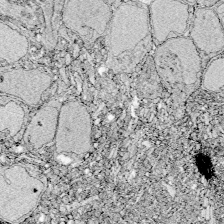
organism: Zebrafish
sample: Whole-Brain